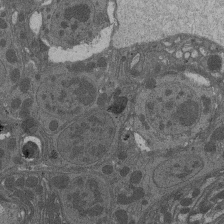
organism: Drosophila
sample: Antenna